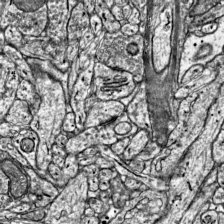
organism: Mouse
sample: Visual Cortex